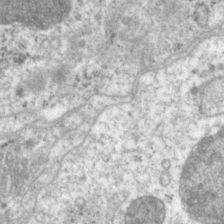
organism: P. pacificus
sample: Pharynx